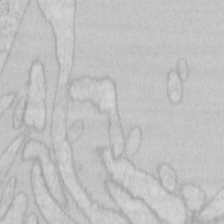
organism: Human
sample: HeLa cells